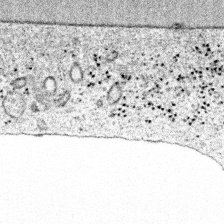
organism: Human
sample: HeLa cells